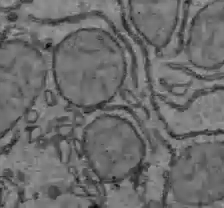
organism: C57BL Mouse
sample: Liver